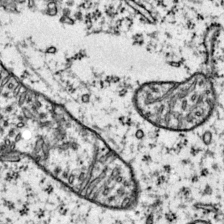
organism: Mouse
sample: Primary visual cortex